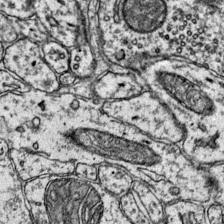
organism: Mouse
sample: Primary visual cortex